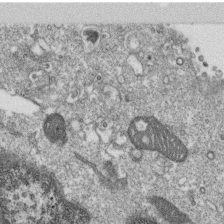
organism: African green monkey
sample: Vero E6 cells infected with SARS-CoV-2